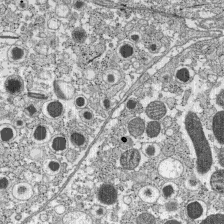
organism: C57BL Mouse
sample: Pancreatic islet